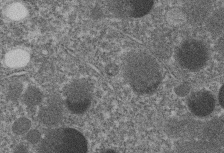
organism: C. elegans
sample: C. elegans embryo early stage